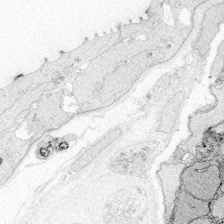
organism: Zebrafish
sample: Whole-Brain